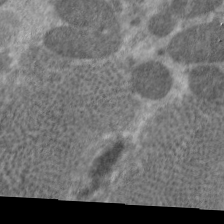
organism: C. elegans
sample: Pharynx